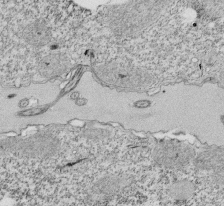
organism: Tetrahymena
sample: Cilia in tetrahymena